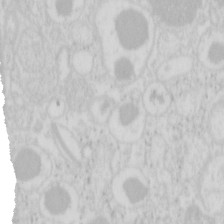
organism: Mouse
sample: Pancreas